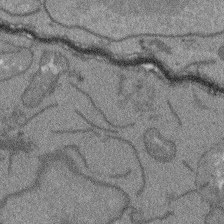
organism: Arabidopsis thaliana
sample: Root tip